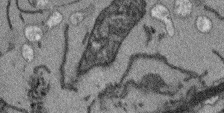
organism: Arabidopsis thaliana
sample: Root tip